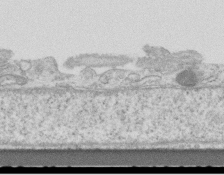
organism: Mouse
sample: Centriole in ependymal cells